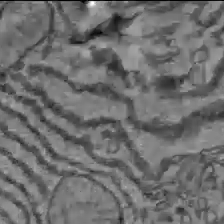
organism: C57BL Mouse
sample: Liver